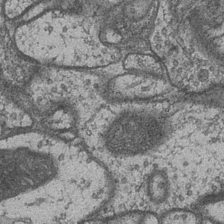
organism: Drosophila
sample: Optic medulla